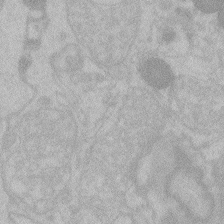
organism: Zebrafish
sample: Macrophage infected with Toxoplasma gondii